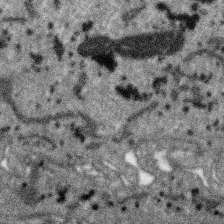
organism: Human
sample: Lung epithelial cells infected with SARS-CoV-2